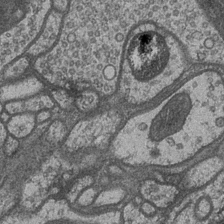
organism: Drosophila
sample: Optic medulla